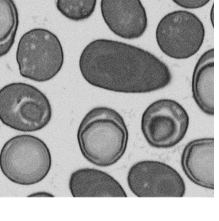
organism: B. subtilis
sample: Bacterial spore